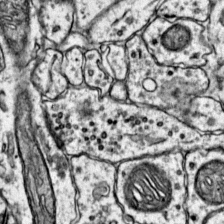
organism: Mouse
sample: Primary visual cortex